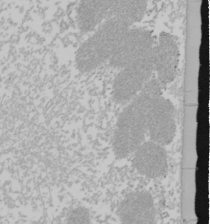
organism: Mouse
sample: Cancer cell death in ED-1 cells